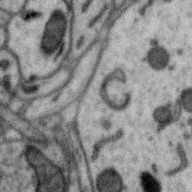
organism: Zebra finch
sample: Brain